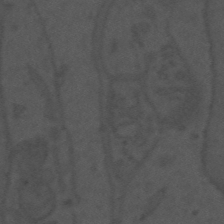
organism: Mouse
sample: Suprachiasmatic nucleus